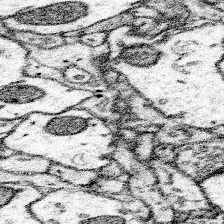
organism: Mouse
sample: Somatosensory cortex neuropil